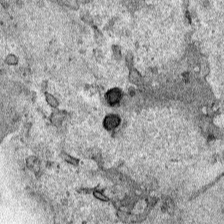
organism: Human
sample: Mitochondria in HCT116 cells